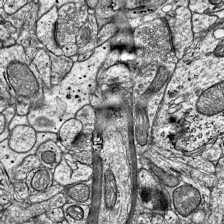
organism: Mouse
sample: Visual Cortex